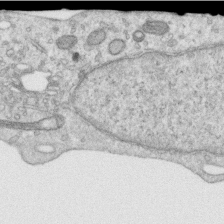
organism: Human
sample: Centriole in RPE cells